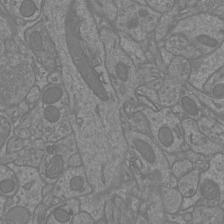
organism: Mouse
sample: Cortical neurons